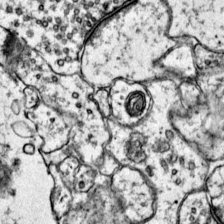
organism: Mouse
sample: Primary visual cortex